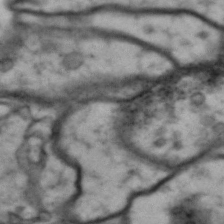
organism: Drosophila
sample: Brain